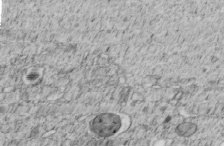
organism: C. elegans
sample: C. elegans embryo early stage